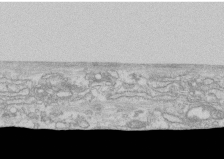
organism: Human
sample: CRL-1474